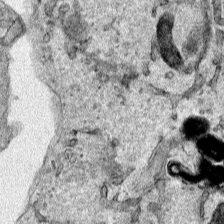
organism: Human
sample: Mitochondria in HCT116 cells